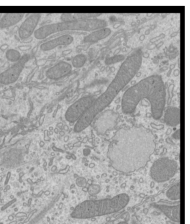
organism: Mouse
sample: Cilia; mouse epididymis